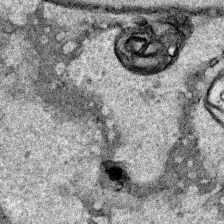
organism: Human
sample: Mitochondria in HCT116 cells